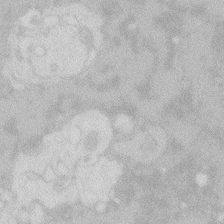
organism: Zebrafish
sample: Macrophage